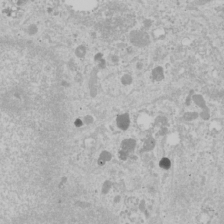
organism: Human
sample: Mitochondria in U2OS cells